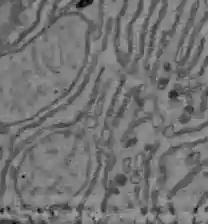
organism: C57BL Mouse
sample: Liver